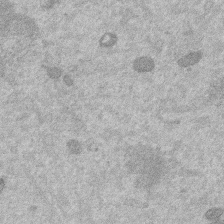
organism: Mouse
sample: Dividing mouse embryo 1 cell stage